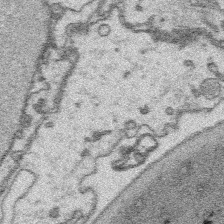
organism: Platynereis dumerilii